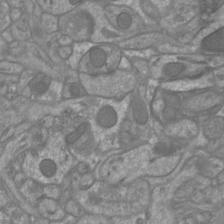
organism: Mouse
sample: Cortical neurons